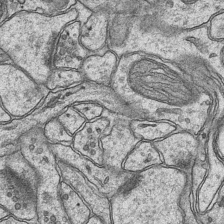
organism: Mouse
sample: CA1 Hippocampus